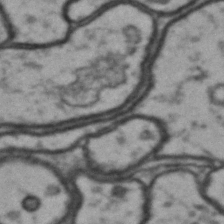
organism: Drosophila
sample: Brain